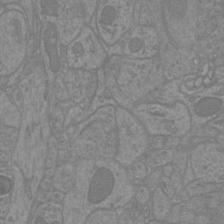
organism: Mouse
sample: Cortical neurons